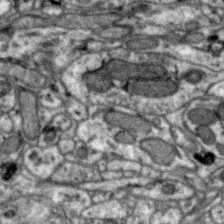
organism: Zebra finch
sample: Brain